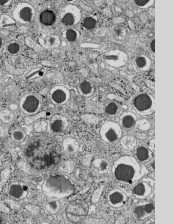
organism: C57BL Mouse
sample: Pancreatic islet